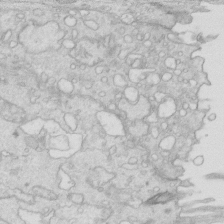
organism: Mouse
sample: Multiciliated cells